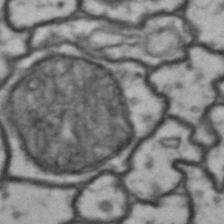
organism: Drosophila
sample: Brain